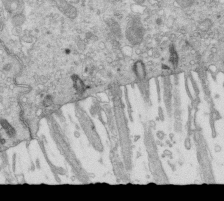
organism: Mouse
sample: Multiciliated cells